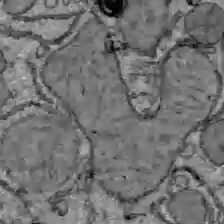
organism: C57BL Mouse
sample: Liver